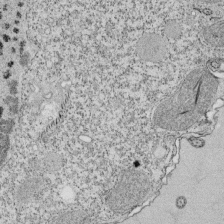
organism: Tetrahymena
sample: Cilia in tetrahymena